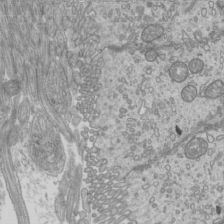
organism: Mouse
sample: Cilia; mouse epididymis